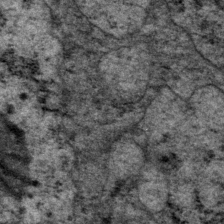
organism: P. pacificus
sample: Pharynx